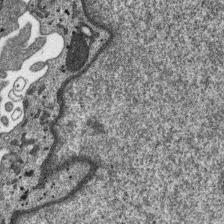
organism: Human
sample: Lung epithelial cells infected with SARS-CoV-2